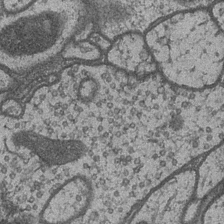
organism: Drosophila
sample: Optic medulla